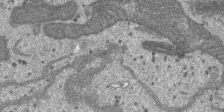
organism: Human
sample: Lung epithelial cells infected with SARS-CoV-2